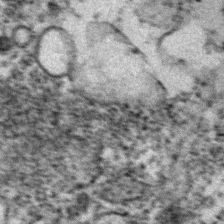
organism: Zebrafish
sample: Zebrafish embryo